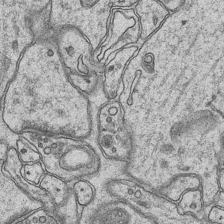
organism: Mouse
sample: CA1 Hippocampus